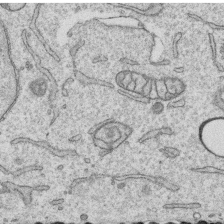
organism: Human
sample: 1205lu cells